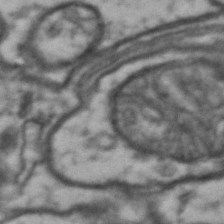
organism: Drosophila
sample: Brain